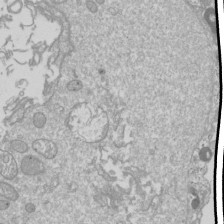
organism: Drosophila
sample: Cell division; meiosis; drosophila spermatocytes